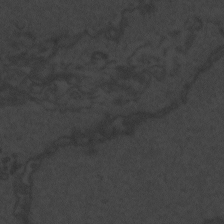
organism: Zebrafish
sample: Macrophage infected with Toxoplasma gondii